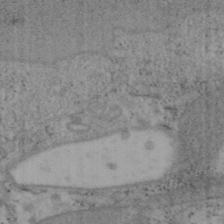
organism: Mouse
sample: OT-I killer T cells with ID8 ovarian cancer cells